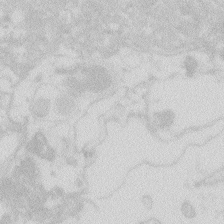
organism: Zebrafish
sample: Macrophage